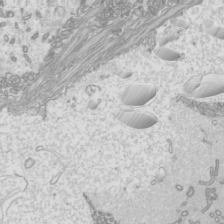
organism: Mouse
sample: Cilia; mouse epididymis